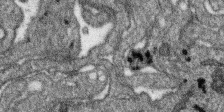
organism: Human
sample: Lung epithelial cells infected with SARS-CoV-2